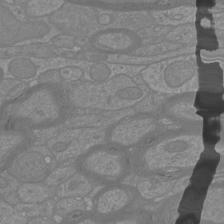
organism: Mouse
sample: Cortical neurons